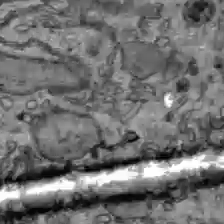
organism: C57BL Mouse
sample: Liver